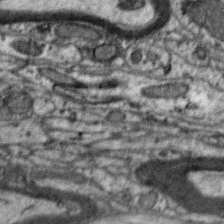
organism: Zebra finch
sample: Brain